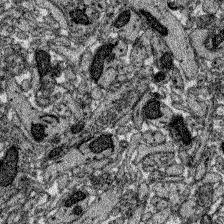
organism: Zebrafish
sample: Larval olfactory bulb